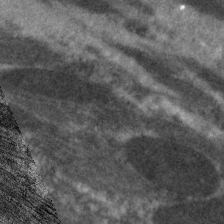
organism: C. elegans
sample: Pharynx